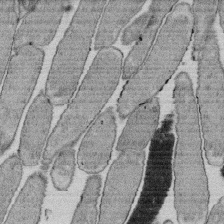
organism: E. coli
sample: Bacterial nucleoid